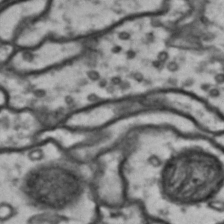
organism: Drosophila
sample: Brain